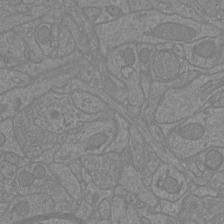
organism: Mouse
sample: Cortical neurons